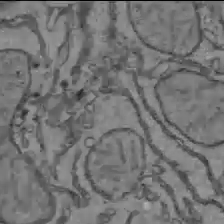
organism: C57BL Mouse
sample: Liver